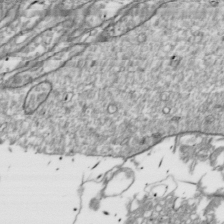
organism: Drosophila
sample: Cell division; meiosis; drosophila spermatocytes